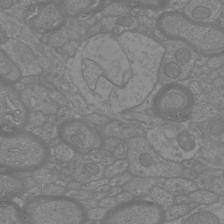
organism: Mouse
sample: Cortical neurons